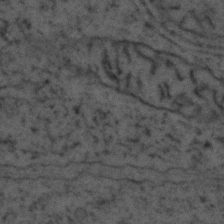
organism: Zebrafish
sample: Zebrafish embryo